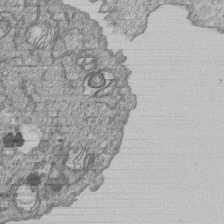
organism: Human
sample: MDA-MB-231 cells